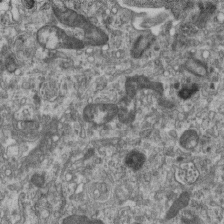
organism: Mouse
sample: Centriole in ependymal cells